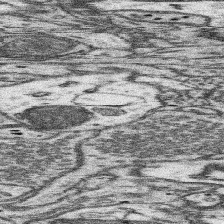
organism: Mouse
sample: Somatosensory cortex neuropil